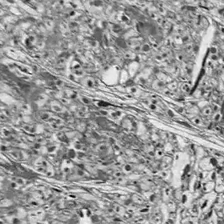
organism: Drosophila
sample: Optic lobe